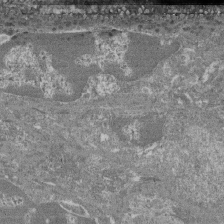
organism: Mouse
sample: Glomerulus